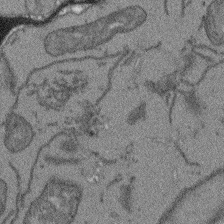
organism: Arabidopsis thaliana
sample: Root tip